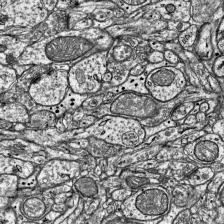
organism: Mouse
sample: Visual Cortex